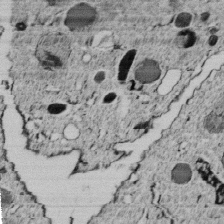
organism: C. elegans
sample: C. elegans embryo early stage